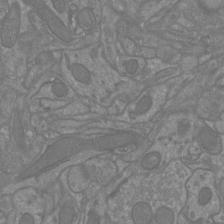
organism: Mouse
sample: Cortical neurons